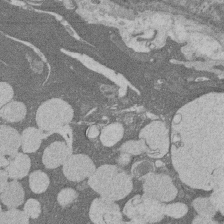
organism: Rat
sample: Salivary granule